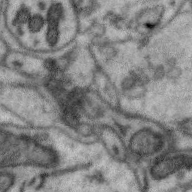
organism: Zebra finch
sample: Brain